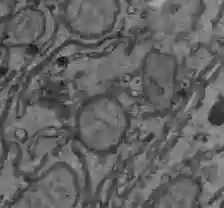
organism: C57BL Mouse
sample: Liver